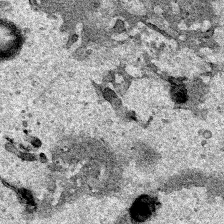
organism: Human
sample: Mitochondria in HCT116 cells